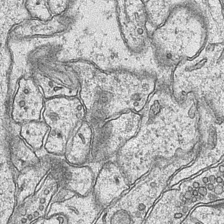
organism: Mouse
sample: CA1 Hippocampus